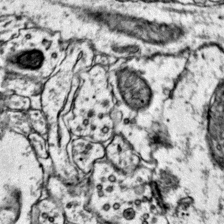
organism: Mouse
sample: Primary visual cortex